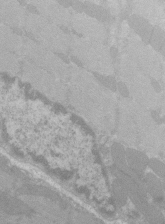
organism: C57BL Mouse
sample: Tibialis anterior muscle cell